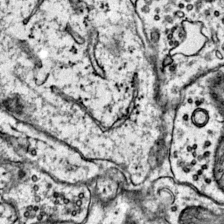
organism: Mouse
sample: Primary visual cortex